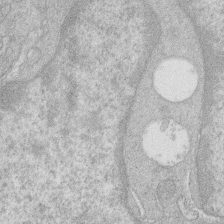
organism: Human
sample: Macrophage cells